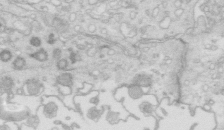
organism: Mouse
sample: Multiciliated cells